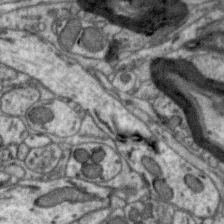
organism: Zebra finch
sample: Brain